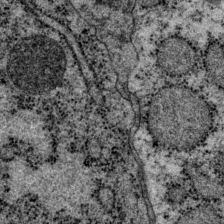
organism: P. pacificus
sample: Pharynx